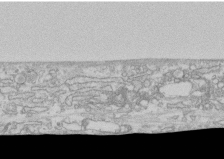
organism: Human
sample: CRL-1474